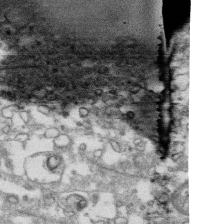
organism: Human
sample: CRL-1474